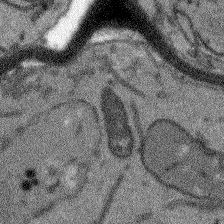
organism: Arabidopsis thaliana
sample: Root tip